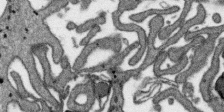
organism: Human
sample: Lung epithelial cells, uninfected (mock) control